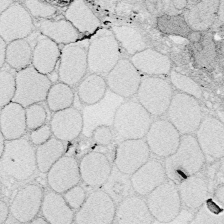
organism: Zebrafish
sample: Whole-Brain